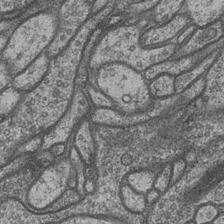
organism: Drosophila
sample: Optic medulla